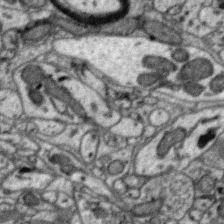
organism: Zebra finch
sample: Brain